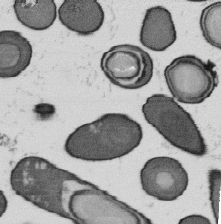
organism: B. subtilis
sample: Bacterial spore